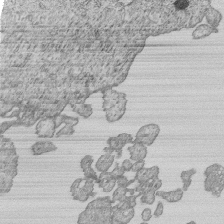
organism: Human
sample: MDA-MB-231 cells